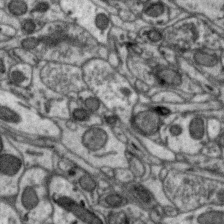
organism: Zebra finch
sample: Brain